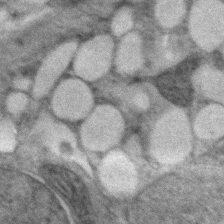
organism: Zebrafish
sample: Zebrafish embryo